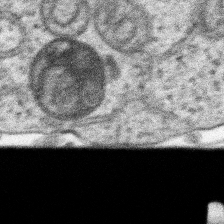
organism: Human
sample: HeLa cells